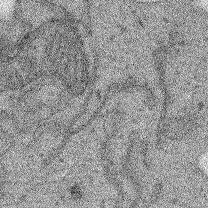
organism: Human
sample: HeLa cells